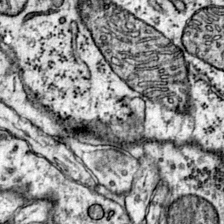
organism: Mouse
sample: Primary visual cortex